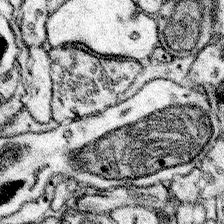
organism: Mouse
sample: Somatosensory cortex neuropil